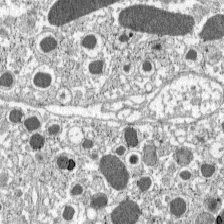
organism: C57BL Mouse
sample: Pancreatic islet